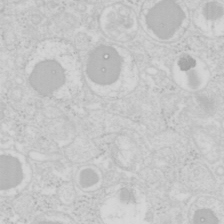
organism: Mouse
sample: Pancreas